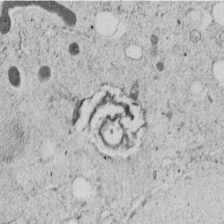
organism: C. elegans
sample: C. elegans embryo early stage